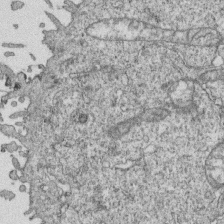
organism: Human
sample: HeLa cell HIV synapse